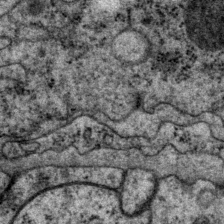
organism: P. pacificus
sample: Pharynx